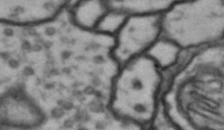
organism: Drosophila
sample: Brain